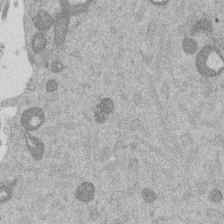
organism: Mouse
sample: Dividing mouse embryo 1 cell stage